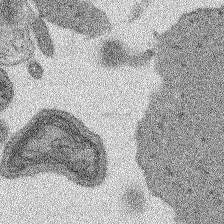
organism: Human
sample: HeLa cells